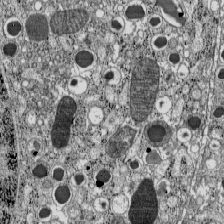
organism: C57BL Mouse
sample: Pancreatic islet